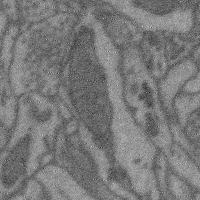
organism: Mouse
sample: Cerebral cortex